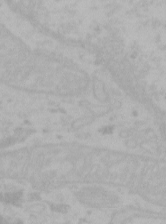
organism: Mouse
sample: Choroid plexus